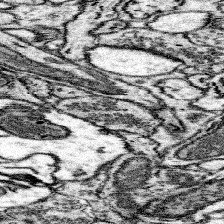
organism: Mouse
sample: Somatosensory cortex neuropil